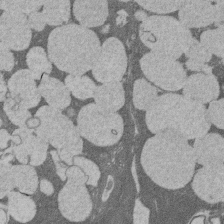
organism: Rat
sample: Salivary granule